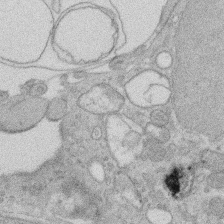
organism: Rat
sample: Salivary granule